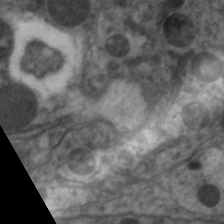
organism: C. elegans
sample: Pharynx